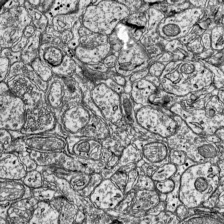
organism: Mouse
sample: Visual Cortex